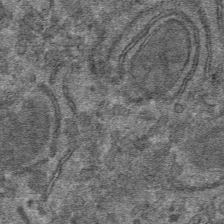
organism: Mouse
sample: Mouse hepatocytes